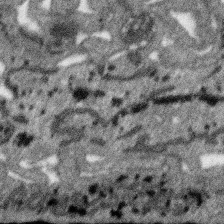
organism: Human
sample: Lung epithelial cells infected with SARS-CoV-2